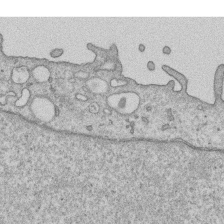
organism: Human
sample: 1205lu cells